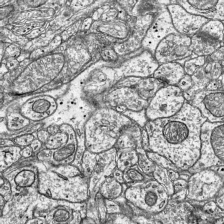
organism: Mouse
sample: Visual Cortex